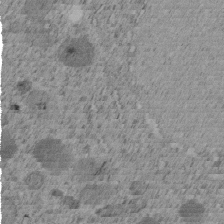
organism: C. elegans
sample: C. elegans embryo early stage